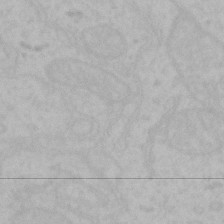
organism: Mouse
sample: Choroid plexus